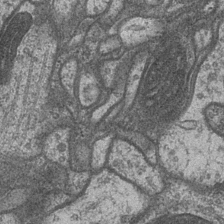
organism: Drosophila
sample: Optic medulla